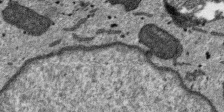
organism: Human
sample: Lung epithelial cells, uninfected (mock) control